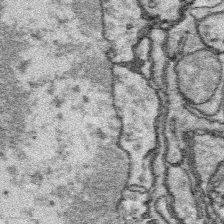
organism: Platynereis dumerilii